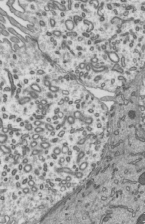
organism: Mouse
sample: Mouse epididymis efferent ductule cilia